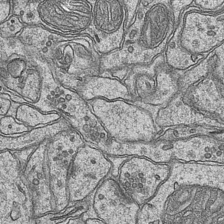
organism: Mouse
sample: CA1 Hippocampus